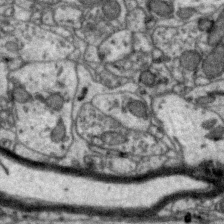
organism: Zebra finch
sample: Brain